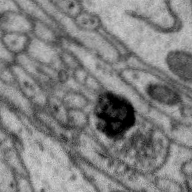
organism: Zebra finch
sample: Brain